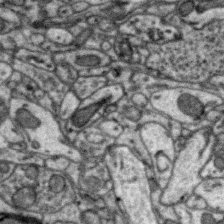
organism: Zebra finch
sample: Brain